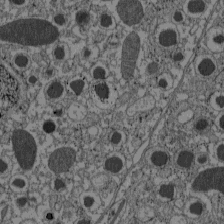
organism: C57BL Mouse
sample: Pancreatic islet